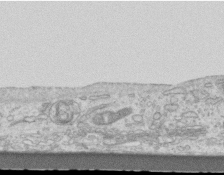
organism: Mouse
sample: Centriole in ependymal cells